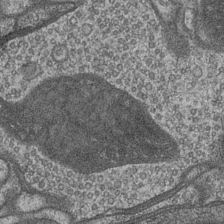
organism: Drosophila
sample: Optic medulla